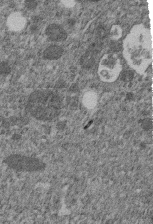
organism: C. elegans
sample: C. elegans embryo early stage